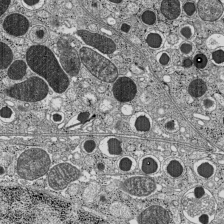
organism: C57BL Mouse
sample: Pancreatic islet